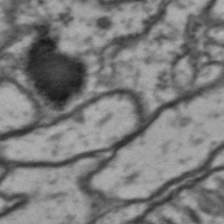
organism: Drosophila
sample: Brain